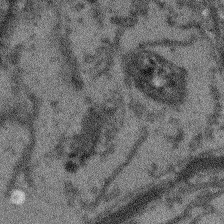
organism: Arabidopsis thaliana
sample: Root tip